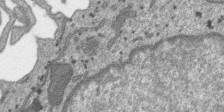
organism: Human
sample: Lung epithelial cells infected with SARS-CoV-2